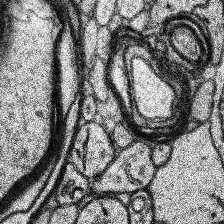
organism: Human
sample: Temporal Lobe